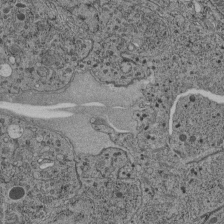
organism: C. elegans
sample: C. elegans pharynx